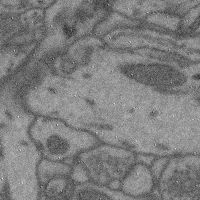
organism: Mouse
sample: Cerebral cortex